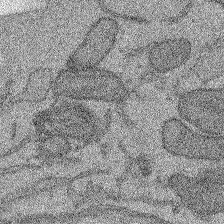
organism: Human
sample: HeLa cells